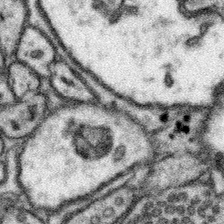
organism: Mouse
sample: Somatosensory cortex neuropil